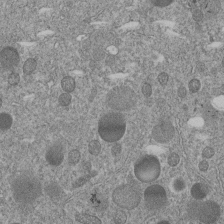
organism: C. elegans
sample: C. elegans embryo early stage